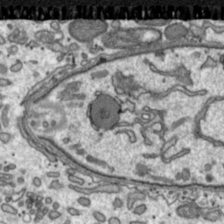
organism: Toxoplasma gondii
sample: Parasites in a vacuole inside a host cell